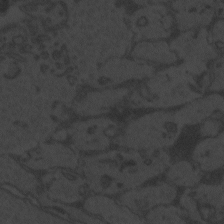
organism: Zebrafish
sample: Macrophage infected with Toxoplasma gondii